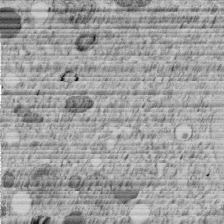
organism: C. elegans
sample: C. elegans embryo early stage